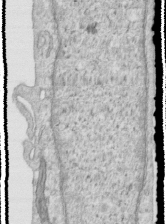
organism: Human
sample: Centriole in RPE cells